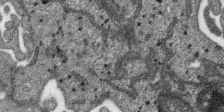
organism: Human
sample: Lung epithelial cells infected with SARS-CoV-2